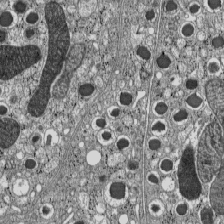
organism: C57BL Mouse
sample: Pancreatic islet